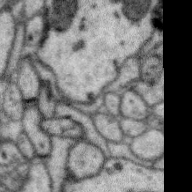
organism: Zebra finch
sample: Brain